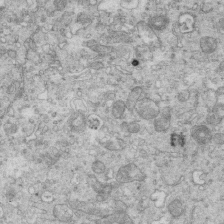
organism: Mouse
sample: Multiciliated cells